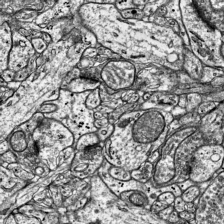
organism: Mouse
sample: Visual Cortex